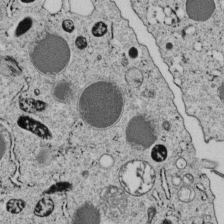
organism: C. elegans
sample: C. elegans embryo early stage